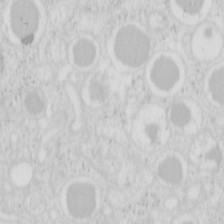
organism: Mouse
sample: Pancreas